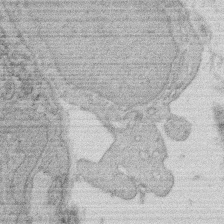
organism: Rat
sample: Salivary granule